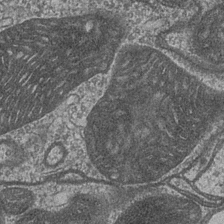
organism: Drosophila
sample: Optic medulla